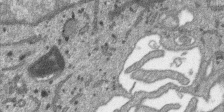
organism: Human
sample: Lung epithelial cells infected with SARS-CoV-2